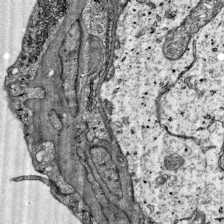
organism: Mouse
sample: Visual Cortex